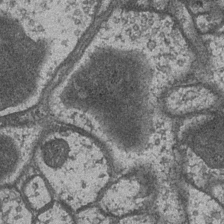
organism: Drosophila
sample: Optic medulla